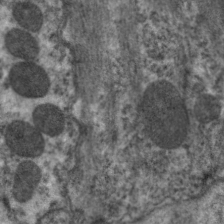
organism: C. elegans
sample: Pharynx